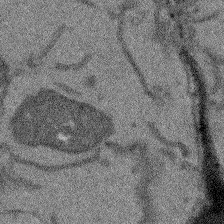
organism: Arabidopsis thaliana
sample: Root tip